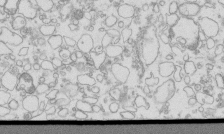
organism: Mouse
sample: Macrophages